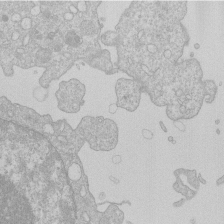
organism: Human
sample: Macrophage cells